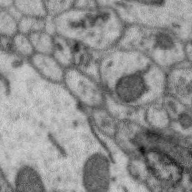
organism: Zebra finch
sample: Brain